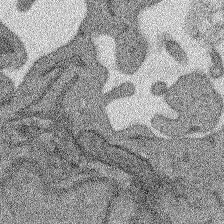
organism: Human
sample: HeLa cells